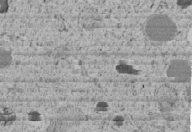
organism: C. elegans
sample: C. elegans embryo early stage